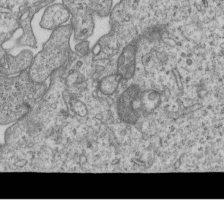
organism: Human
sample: MDA-MB-231 cells